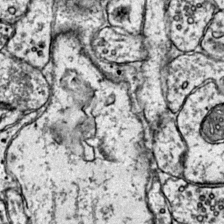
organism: Mouse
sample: Primary visual cortex